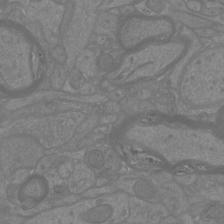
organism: Mouse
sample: Cortical neurons